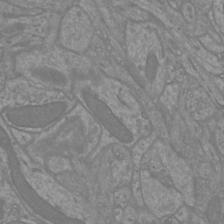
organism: Mouse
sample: Cortical neurons